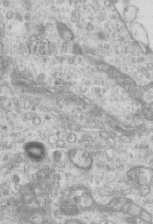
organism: Mouse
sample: Centriole in ependymal cells